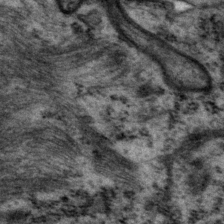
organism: P. pacificus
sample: Pharynx